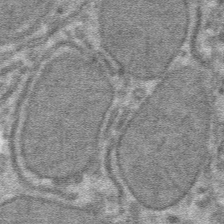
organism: Mouse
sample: Mouse hepatocytes